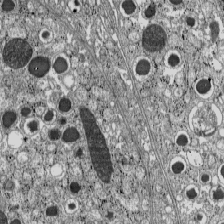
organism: C57BL Mouse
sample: Pancreatic islet